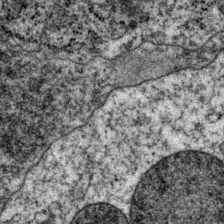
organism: P. pacificus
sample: Pharynx